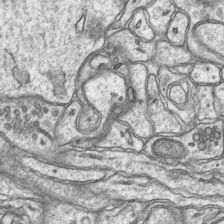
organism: Mouse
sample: CA1 Hippocampus